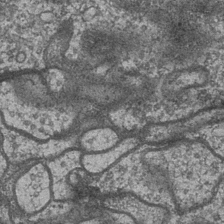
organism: Drosophila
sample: Optic medulla